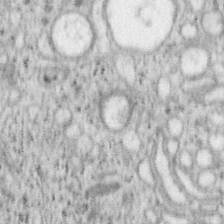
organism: Mouse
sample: OT-I killer T cells with ID8 ovarian cancer cells